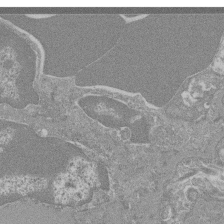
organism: Mouse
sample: Glomerulus